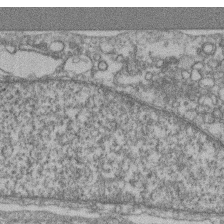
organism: Mouse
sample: T cell stromal cell synapse